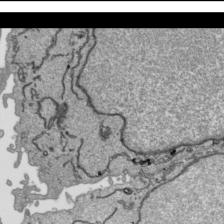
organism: Human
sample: Mitochondria in HCT116 cells